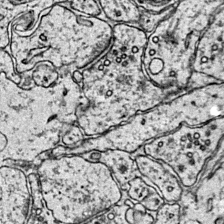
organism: Mouse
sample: Primary visual cortex